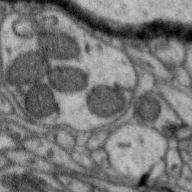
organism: Zebra finch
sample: Brain